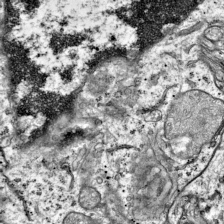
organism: Mouse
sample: Visual Cortex